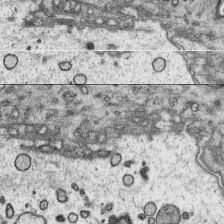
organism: Platynereis dumerilii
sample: Parapodia